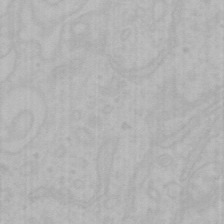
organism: Mouse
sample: Choroid plexus